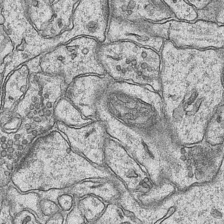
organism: Mouse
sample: CA1 Hippocampus